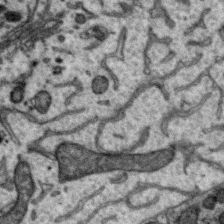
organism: Zebra finch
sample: Brain